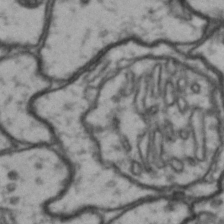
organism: Drosophila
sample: Brain